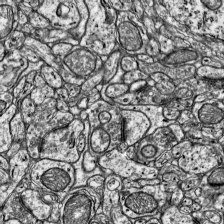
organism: Mouse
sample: Visual Cortex